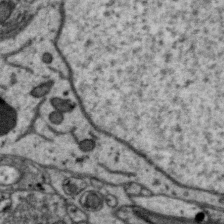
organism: Zebra finch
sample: Brain